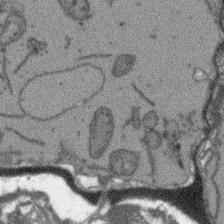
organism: Arabidopsis thaliana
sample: Root tip